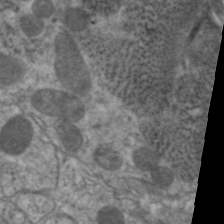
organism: C. elegans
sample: Pharynx